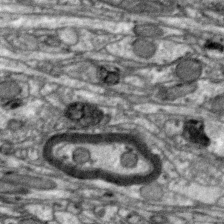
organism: Zebra finch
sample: Brain